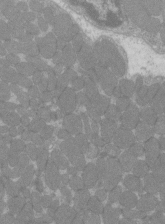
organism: C57BL Mouse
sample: Tibialis anterior muscle cell